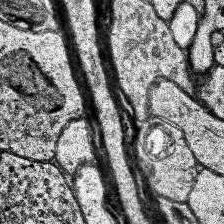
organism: Human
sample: Temporal Lobe